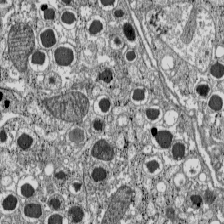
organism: C57BL Mouse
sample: Pancreatic islet